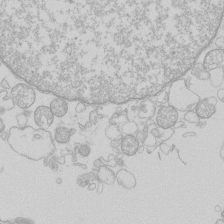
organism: Human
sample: Macrophage cells